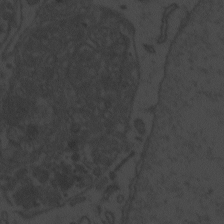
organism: Zebrafish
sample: Macrophage infected with Toxoplasma gondii